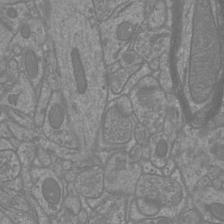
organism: Mouse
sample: Cortical neurons